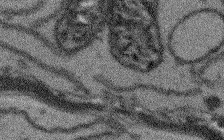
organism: Arabidopsis thaliana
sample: Root tip